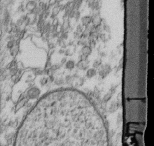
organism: Mouse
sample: Cilia; retinal pigment epithelium